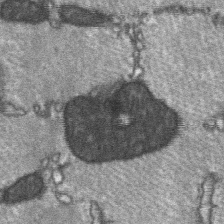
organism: C57BL Mouse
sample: Soleus